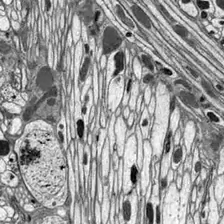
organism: Drosophila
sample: Optic lobe